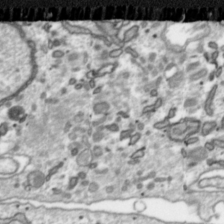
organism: Toxoplasma gondii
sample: Parasites in a vacuole inside a host cell